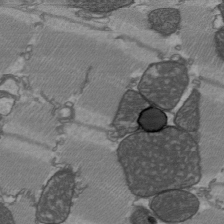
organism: C57BL Mouse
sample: Heart